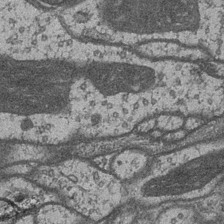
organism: Drosophila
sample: Optic medulla